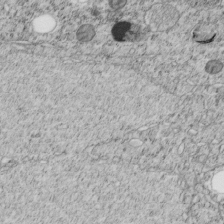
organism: C. elegans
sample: C. elegans embryo early stage